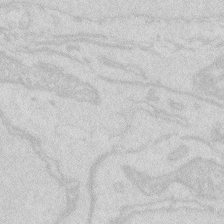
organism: Zebrafish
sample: Macrophage